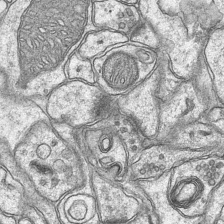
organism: Mouse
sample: CA1 Hippocampus